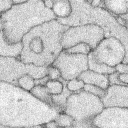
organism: Rabbit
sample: Retina